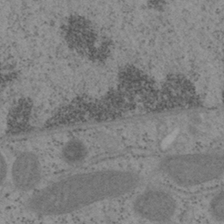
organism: Mouse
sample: OT-I killer T cells with ID8 ovarian cancer cells